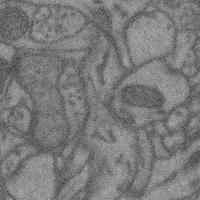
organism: Mouse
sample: Cerebral cortex